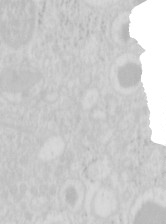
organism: Mouse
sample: Pancreas